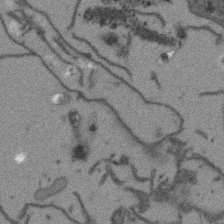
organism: Arabidopsis thaliana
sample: Root tip